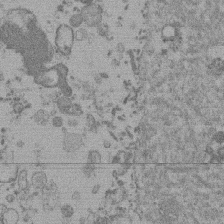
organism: Mouse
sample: Dividing mouse embryo 1 cell stage